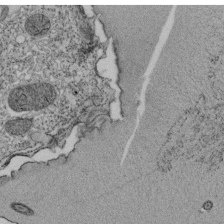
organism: Tetrahymena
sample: Cilia in tetrahymena